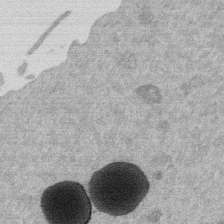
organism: Mouse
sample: Dividing mouse embryo 1 cell stage